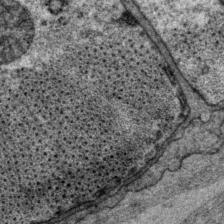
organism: P. pacificus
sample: Pharynx